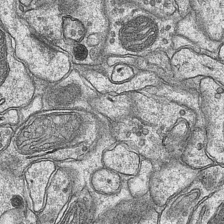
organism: Mouse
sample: CA1 Hippocampus